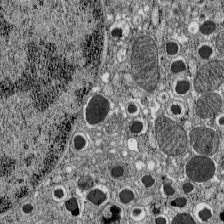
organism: C57BL Mouse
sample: Pancreatic islet